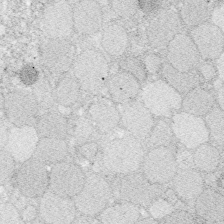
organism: Zebrafish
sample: Whole-Brain